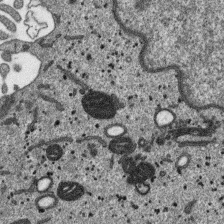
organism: Human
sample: Lung epithelial cells infected with SARS-CoV-2